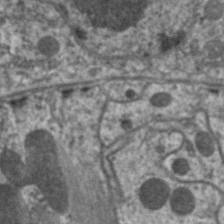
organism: C. elegans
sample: Pharynx